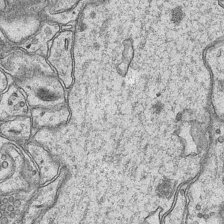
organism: Mouse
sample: CA1 Hippocampus